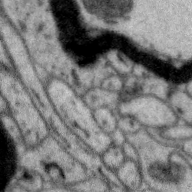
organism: Zebra finch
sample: Brain